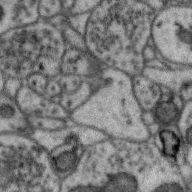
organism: Zebra finch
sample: Brain